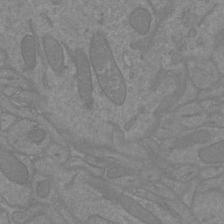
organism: Mouse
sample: Cortical neurons